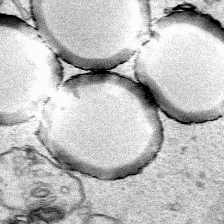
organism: Human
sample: Mitochondria in HCT116 cells